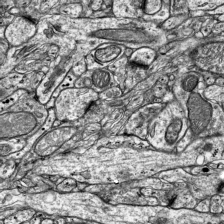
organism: Mouse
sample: Visual Cortex